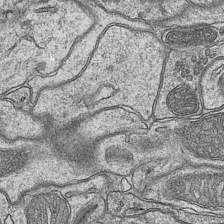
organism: Mouse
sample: CA1 Hippocampus